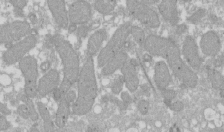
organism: Xenopus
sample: Cilia; centrioles in frog embryo cells